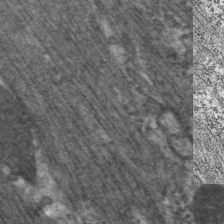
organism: C. elegans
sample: Pharynx